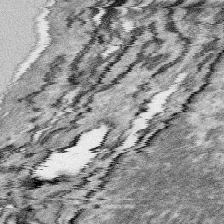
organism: Human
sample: HeLa cells